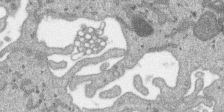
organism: Human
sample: Lung epithelial cells infected with SARS-CoV-2